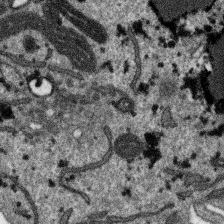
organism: Human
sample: Lung epithelial cells infected with SARS-CoV-2